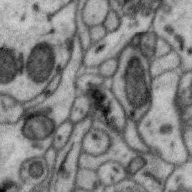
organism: Zebra finch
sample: Brain